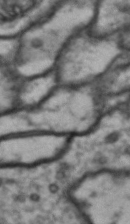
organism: Drosophila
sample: Brain